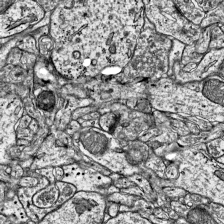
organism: Mouse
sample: Visual Cortex